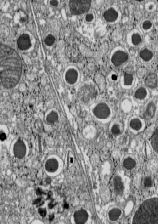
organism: C57BL Mouse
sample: Pancreatic islet